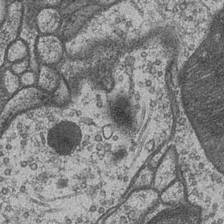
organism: Drosophila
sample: Optic medulla